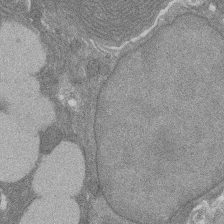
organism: Rat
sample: Salivary granule